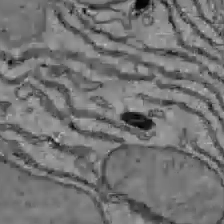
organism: C57BL Mouse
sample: Liver